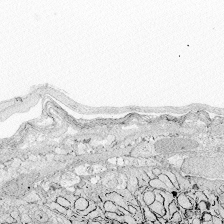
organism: Zebrafish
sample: Whole-Brain